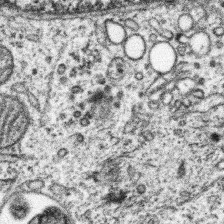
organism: Human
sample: HeLa cells